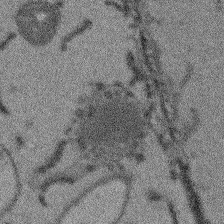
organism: Arabidopsis thaliana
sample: Root tip